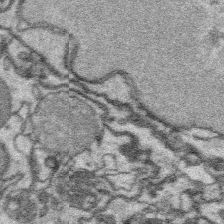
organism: Platynereis dumerilii